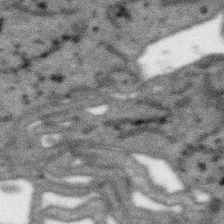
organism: Human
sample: Lung epithelial cells infected with SARS-CoV-2